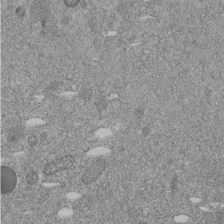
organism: C. elegans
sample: C. elegans embryo early stage